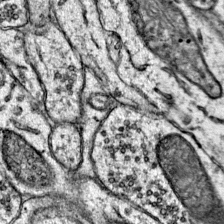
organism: Mouse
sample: Primary visual cortex